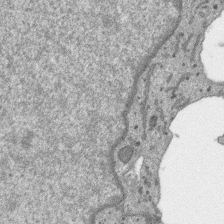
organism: Human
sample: Lung epithelial cells infected with SARS-CoV-2